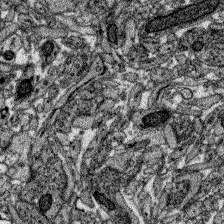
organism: Zebrafish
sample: Larval olfactory bulb